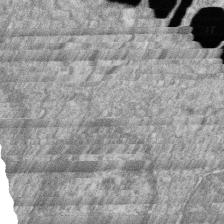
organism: Zebrafish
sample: Cilia; retinal pigment epithelium